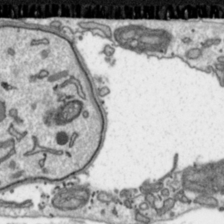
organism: Toxoplasma gondii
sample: Parasites in a vacuole inside a host cell